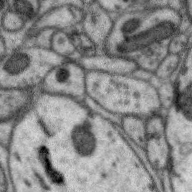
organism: Zebra finch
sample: Brain